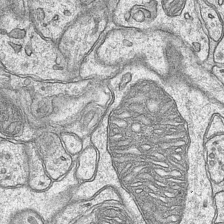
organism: Mouse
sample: CA1 Hippocampus